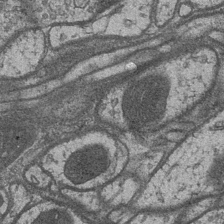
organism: Drosophila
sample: Optic medulla